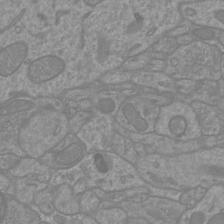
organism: Mouse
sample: Cortical neurons